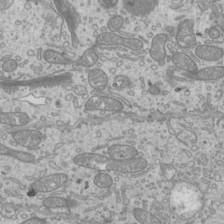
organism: Mouse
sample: Cilia; mouse epididymis